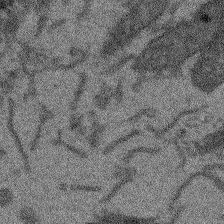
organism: Arabidopsis thaliana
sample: Root tip